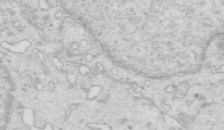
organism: Mouse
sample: Multiciliated cells